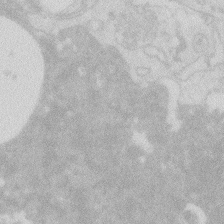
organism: Zebrafish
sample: Macrophage